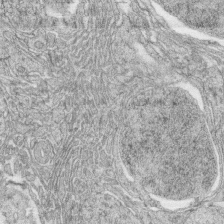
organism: Zebrafish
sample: synaptic ribbons in rod cells and cone cells